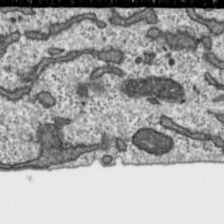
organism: Toxoplasma gondii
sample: Parasites in a vacuole inside a host cell